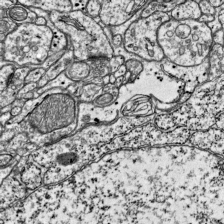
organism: Mouse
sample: Visual Cortex